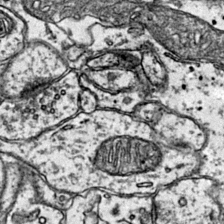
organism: Mouse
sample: Primary visual cortex